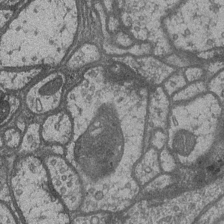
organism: Drosophila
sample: Optic medulla